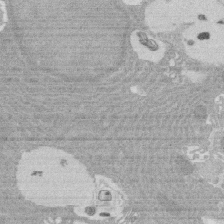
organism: Rat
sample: Salivary granule